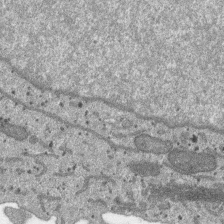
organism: Human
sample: Lung epithelial cells infected with SARS-CoV-2